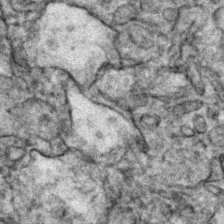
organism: Zebrafish